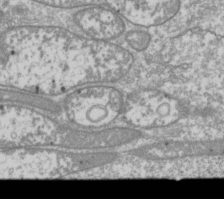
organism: Drosophila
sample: Cell division; meiosis; drosophila spermatocytes